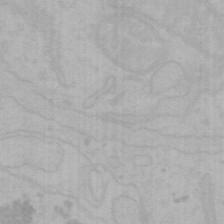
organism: Mouse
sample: Choroid plexus